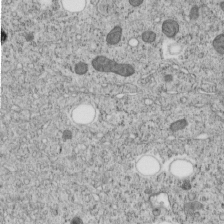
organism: C. elegans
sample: C. elegans embryo early stage